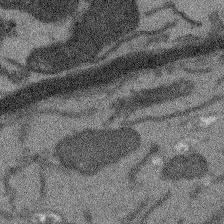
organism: Arabidopsis thaliana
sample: Root tip